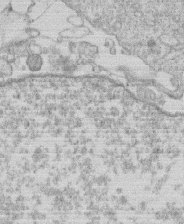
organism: Human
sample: Macrophage cells